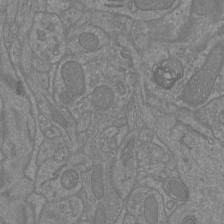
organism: Mouse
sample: Cortical neurons